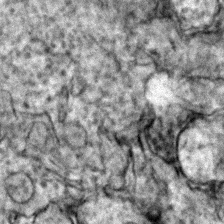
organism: Zebrafish